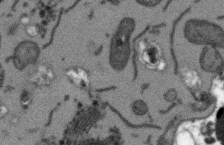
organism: Arabidopsis thaliana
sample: Root tip